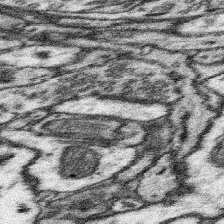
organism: Mouse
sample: Somatosensory cortex neuropil